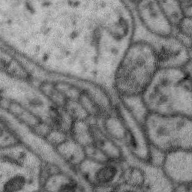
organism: Zebra finch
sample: Brain